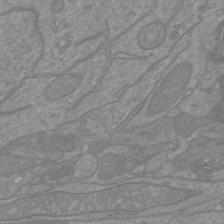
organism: Mouse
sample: Cortical neurons